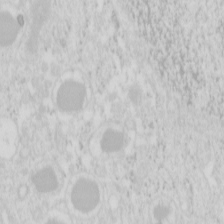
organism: Mouse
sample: Pancreas